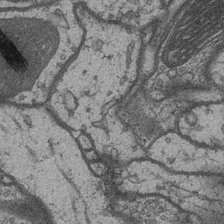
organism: Drosophila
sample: Optic medulla